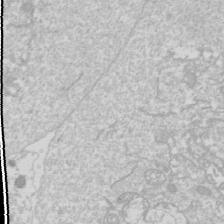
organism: Drosophila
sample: Cell division; meiosis; drosophila spermatocytes